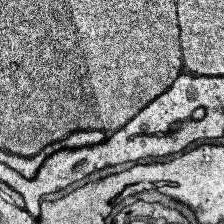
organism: Human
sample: Temporal Lobe